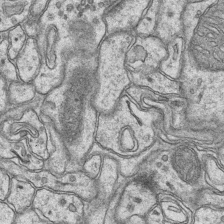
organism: Mouse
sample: CA1 Hippocampus